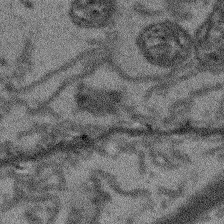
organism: Arabidopsis thaliana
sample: Root tip